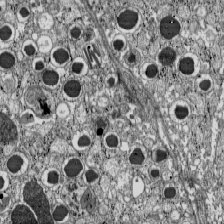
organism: C57BL Mouse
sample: Pancreatic islet